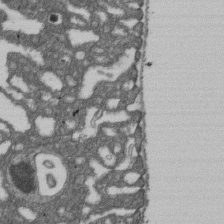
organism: Drosophila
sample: Nephrocyte